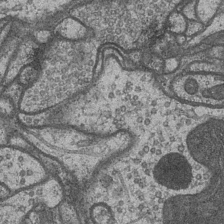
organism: Drosophila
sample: Optic medulla